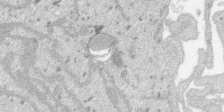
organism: Human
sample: Lung epithelial cells infected with SARS-CoV-2